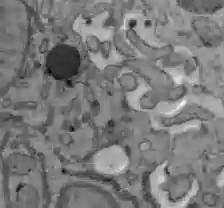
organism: C57BL Mouse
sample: Liver